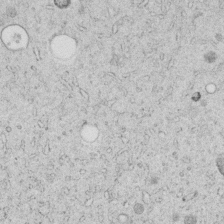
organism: C. elegans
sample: C. elegans embryo early stage